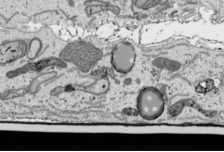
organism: Human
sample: Mitochondria in HCT116 cells